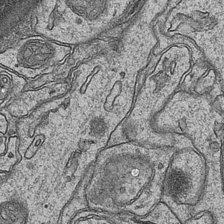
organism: Mouse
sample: CA1 Hippocampus